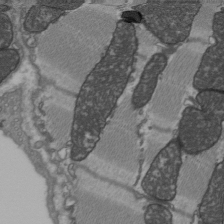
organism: C57BL Mouse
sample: Heart